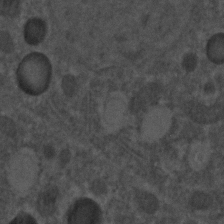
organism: C. elegans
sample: C. elegans embryo